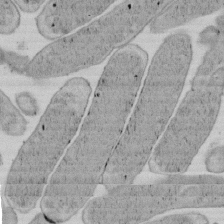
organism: E. coli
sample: Bacterial nucleoid